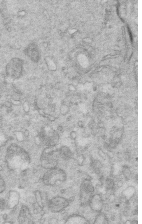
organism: Mouse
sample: Multiciliated cells